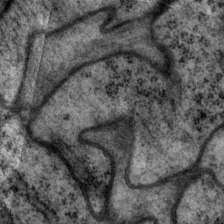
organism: P. pacificus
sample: Pharynx